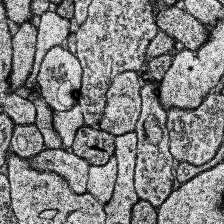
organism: Human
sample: Temporal Lobe